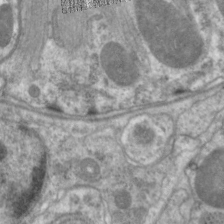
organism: C. elegans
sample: Pharynx